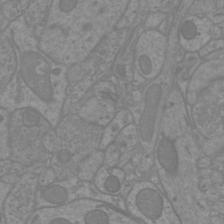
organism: Mouse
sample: Cortical neurons